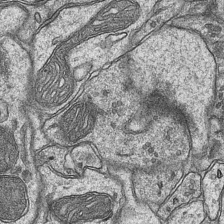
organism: Mouse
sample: CA1 Hippocampus